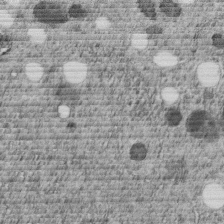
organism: C. elegans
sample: C. elegans embryo early stage